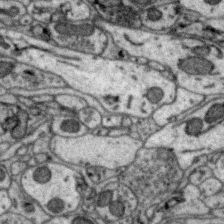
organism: Zebra finch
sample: Brain